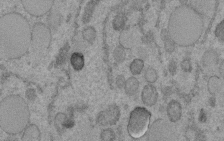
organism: C. elegans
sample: C. elegans embryo early stage